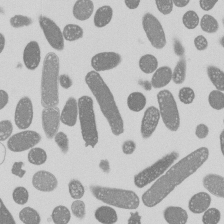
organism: E. coli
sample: Bacterial nucleoid